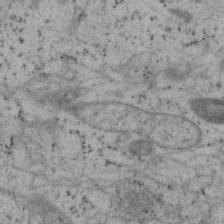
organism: Human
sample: HeLa cells